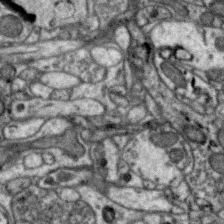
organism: Zebra finch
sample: Brain